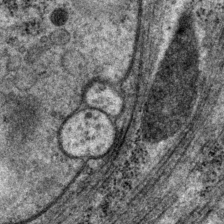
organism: P. pacificus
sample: Pharynx